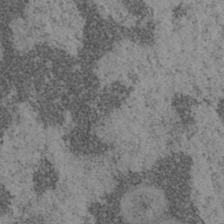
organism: Mouse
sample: OT-I killer T cells with ID8 ovarian cancer cells